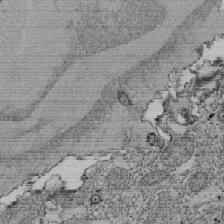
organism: Tetrahymena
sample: Cilia in tetrahymena